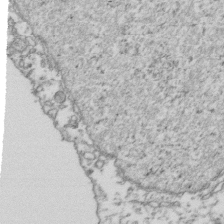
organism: Human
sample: Activated Jurkat CD4+ T cells